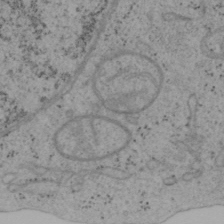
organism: Human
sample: HeLa cells